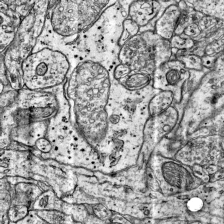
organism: Mouse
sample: Visual Cortex